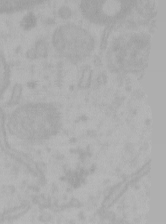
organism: Mouse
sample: Choroid plexus